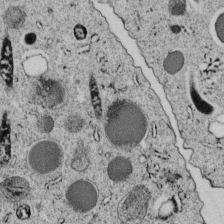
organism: C. elegans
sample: C. elegans embryo early stage